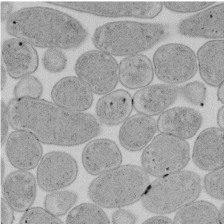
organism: E. coli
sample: Bacterial nucleoid